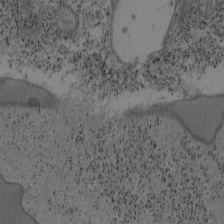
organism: Mouse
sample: OT-I killer T cells with ID8 ovarian cancer cells